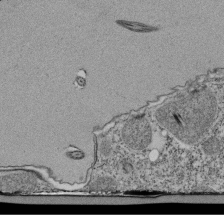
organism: Tetrahymena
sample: Cilia in tetrahymena